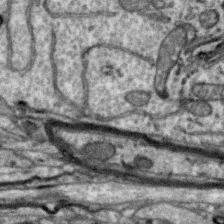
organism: Zebra finch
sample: Brain